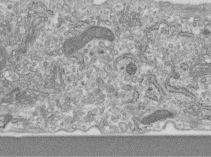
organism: Human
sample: Centriole in RPE cells